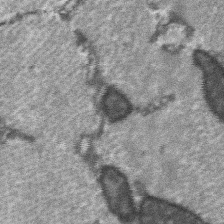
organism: C57BL Mouse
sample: Soleus